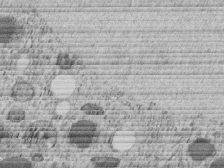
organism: C. elegans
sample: C. elegans embryo early stage